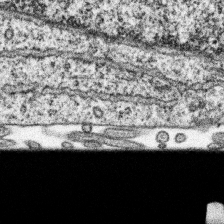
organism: Human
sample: HeLa cells